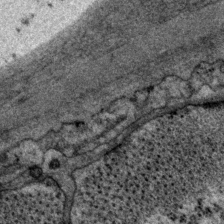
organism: P. pacificus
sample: Pharynx